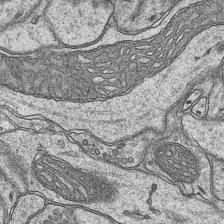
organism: Mouse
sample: CA1 Hippocampus